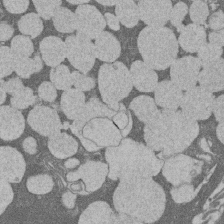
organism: Rat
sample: Salivary granule